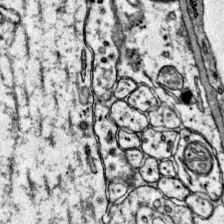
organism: Mouse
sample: Primary visual cortex